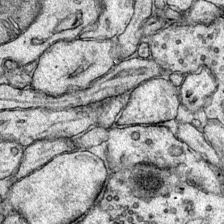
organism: Mouse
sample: Primary visual cortex